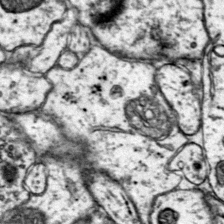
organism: Mouse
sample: Primary visual cortex